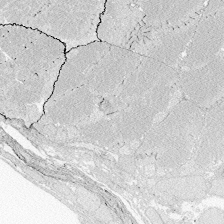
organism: Zebrafish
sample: Whole-Brain